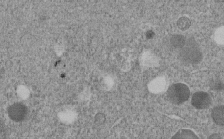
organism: C. elegans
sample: C. elegans embryo early stage